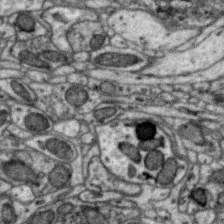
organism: Zebra finch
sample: Brain